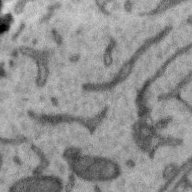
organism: Zebra finch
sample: Brain